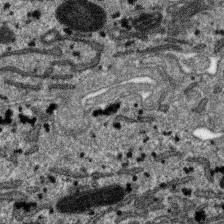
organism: Human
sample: Lung epithelial cells infected with SARS-CoV-2